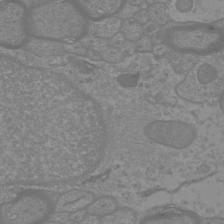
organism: Mouse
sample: Cortical neurons